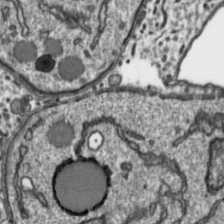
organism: Toxoplasma gondii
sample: Parasites in a vacuole inside a host cell